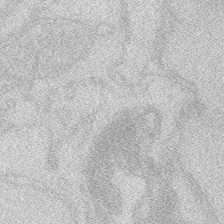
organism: Zebrafish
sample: Macrophage